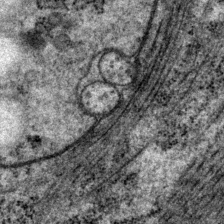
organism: P. pacificus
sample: Pharynx